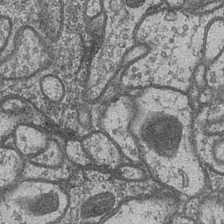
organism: Drosophila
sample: Optic medulla